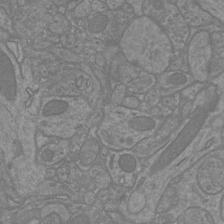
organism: Mouse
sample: Cortical neurons